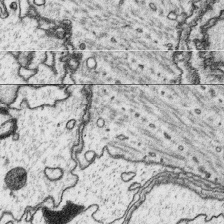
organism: Platynereis dumerilii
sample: Parapodia